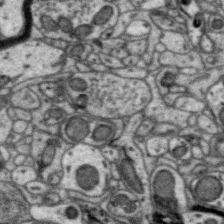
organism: Zebra finch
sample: Brain